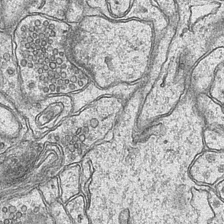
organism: Mouse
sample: CA1 Hippocampus